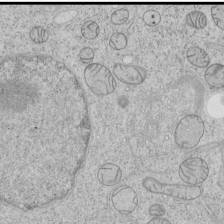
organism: Human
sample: Mitochondria in HCT116 cells